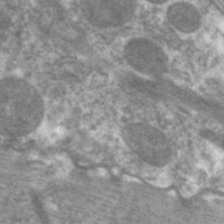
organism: C. elegans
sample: Pharynx